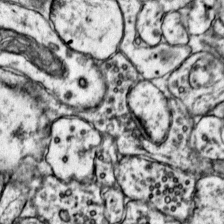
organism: Mouse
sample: Primary visual cortex